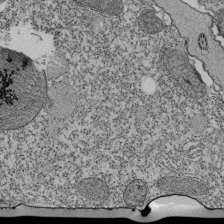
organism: Tetrahymena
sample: Cilia in tetrahymena